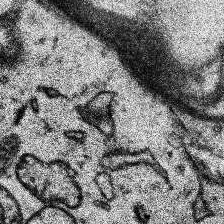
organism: Human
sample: Temporal Lobe